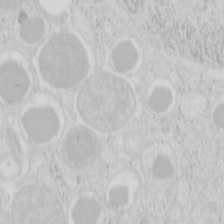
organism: Mouse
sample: Pancreas